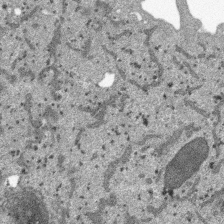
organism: Human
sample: Lung epithelial cells infected with SARS-CoV-2